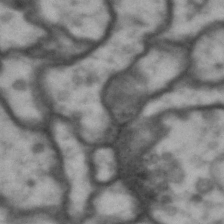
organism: Drosophila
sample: Brain